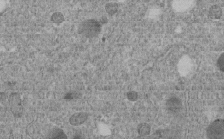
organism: C. elegans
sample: C. elegans embryo early stage